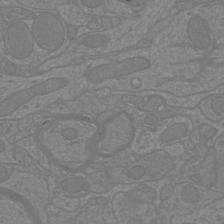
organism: Mouse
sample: Cortical neurons